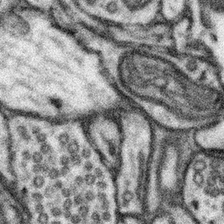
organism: Mouse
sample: Somatosensory cortex neuropil